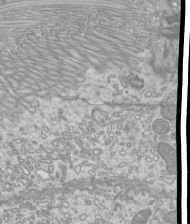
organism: Mouse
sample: Cilia; mouse epididymis